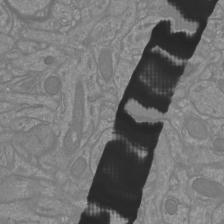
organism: Mouse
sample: Cortical neurons